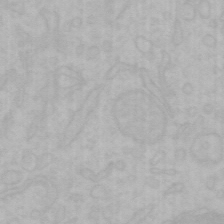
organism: Mouse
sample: Choroid plexus